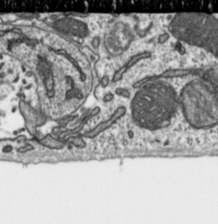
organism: Toxoplasma gondii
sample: Parasites in a vacuole inside a host cell